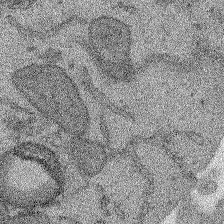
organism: Human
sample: HeLa cells